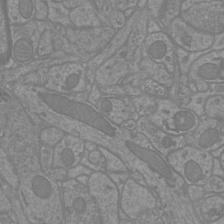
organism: Mouse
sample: Cortical neurons